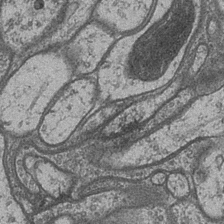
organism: Drosophila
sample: Optic medulla